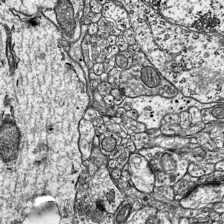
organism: Mouse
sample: Visual Cortex